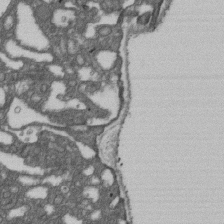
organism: Drosophila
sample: Nephrocyte